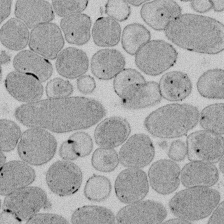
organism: E. coli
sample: Bacterial nucleoid